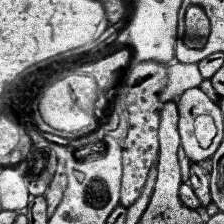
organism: Human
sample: Temporal Lobe